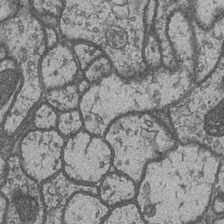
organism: Drosophila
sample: Optic medulla